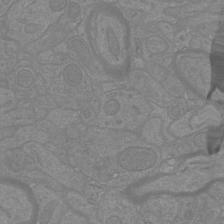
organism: Mouse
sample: Cortical neurons